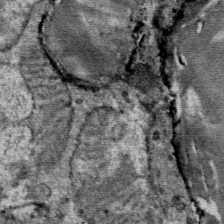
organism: Mouse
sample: Mouse Salivary gland